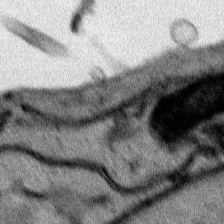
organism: Human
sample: Mitochondria in HCT116 cells